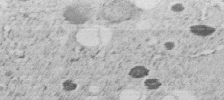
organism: C. elegans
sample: C. elegans embryo early stage